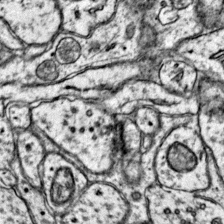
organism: Mouse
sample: Primary visual cortex